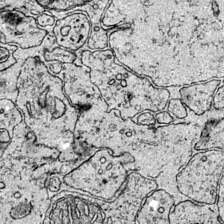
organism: Mouse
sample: Primary visual cortex